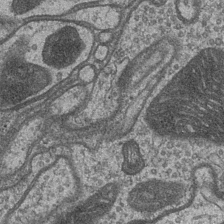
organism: Drosophila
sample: Optic medulla